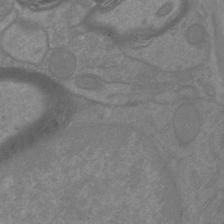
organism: Mouse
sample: Cortical neurons